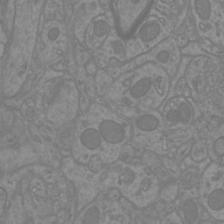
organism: Mouse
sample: Cortical neurons